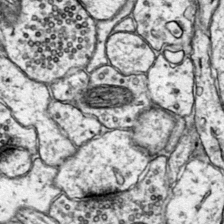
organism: Mouse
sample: Primary visual cortex